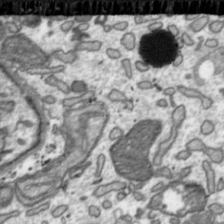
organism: Toxoplasma gondii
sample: Parasites in a vacuole inside a host cell